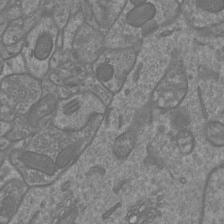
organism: Mouse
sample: Cortical neurons